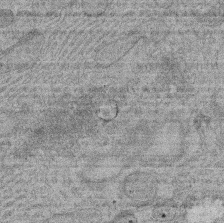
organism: Rat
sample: Salivary granule